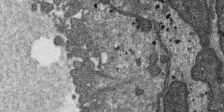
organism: Human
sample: Lung epithelial cells infected with SARS-CoV-2